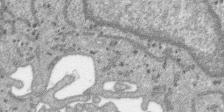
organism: Human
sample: Lung epithelial cells infected with SARS-CoV-2